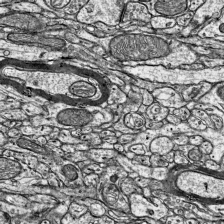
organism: Mouse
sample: Visual Cortex